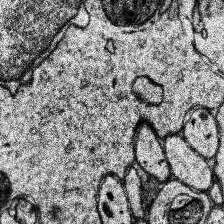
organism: Human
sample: Temporal Lobe